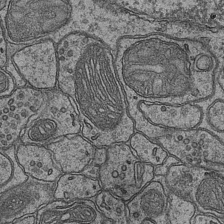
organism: Mouse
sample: CA1 Hippocampus